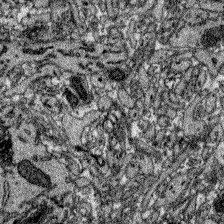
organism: Zebrafish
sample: Larval olfactory bulb